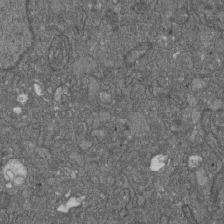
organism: Drosophila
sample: Nephrocyte